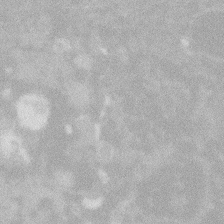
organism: Zebrafish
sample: Macrophage